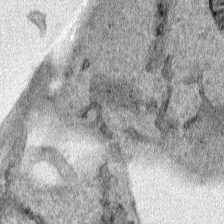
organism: Human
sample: Mitochondria in HCT116 cells